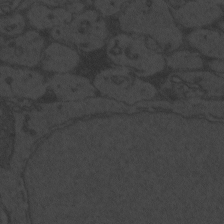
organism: Zebrafish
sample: Macrophage infected with Toxoplasma gondii